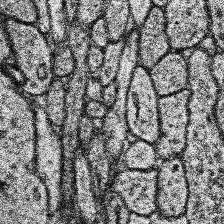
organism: Human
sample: Temporal Lobe